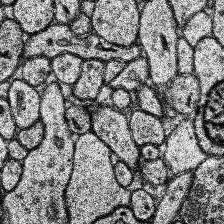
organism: Human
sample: Temporal Lobe